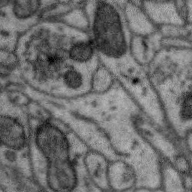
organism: Zebra finch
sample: Brain